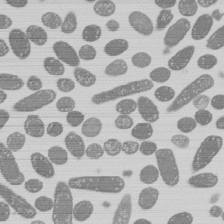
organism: E. coli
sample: Bacterial nucleoid